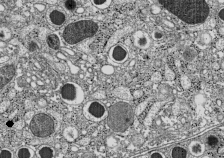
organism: C57BL Mouse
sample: Pancreatic islet